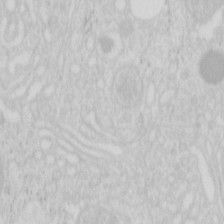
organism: Mouse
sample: Pancreas